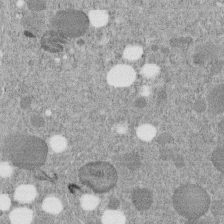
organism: C. elegans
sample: C. elegans embryo early stage